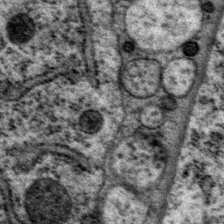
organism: P. pacificus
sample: Pharynx